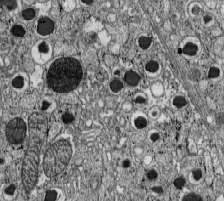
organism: C57BL Mouse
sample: Pancreatic islet